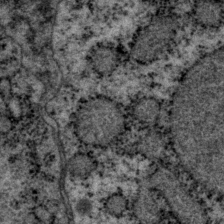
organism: P. pacificus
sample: Pharynx